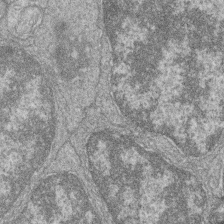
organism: Zebrafish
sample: Cilia; retinal pigment epithelium